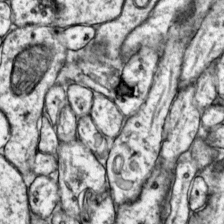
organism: Mouse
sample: Primary visual cortex